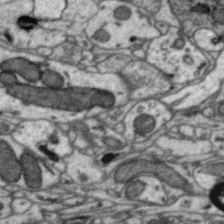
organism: Zebra finch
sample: Brain